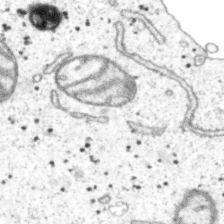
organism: Human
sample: HeLa cells